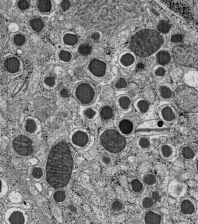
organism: C57BL Mouse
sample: Pancreatic islet